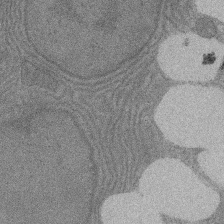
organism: Rat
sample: Salivary granule